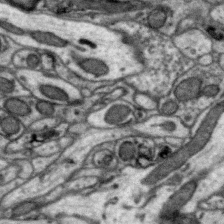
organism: Zebra finch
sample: Brain